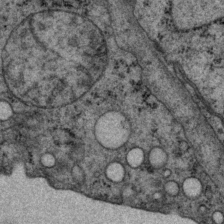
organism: P. pacificus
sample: Pharynx